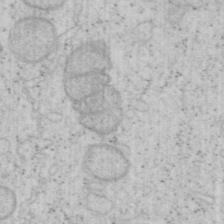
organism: Human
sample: HeLa cells